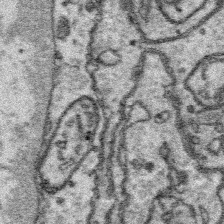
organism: Platynereis dumerilii